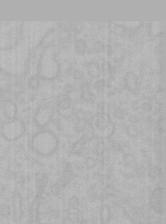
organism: Mouse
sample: Choroid plexus